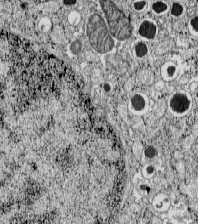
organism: C57BL Mouse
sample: Pancreatic islet